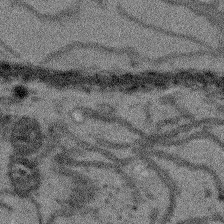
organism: Arabidopsis thaliana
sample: Root tip